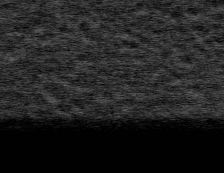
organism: Human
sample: HeLa cells